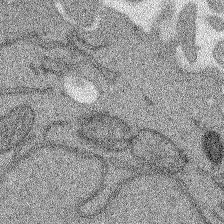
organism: Human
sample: HeLa cells